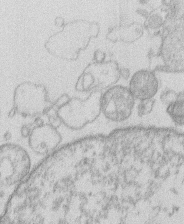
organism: Human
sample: Macrophage cells